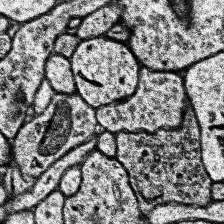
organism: Human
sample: Temporal Lobe